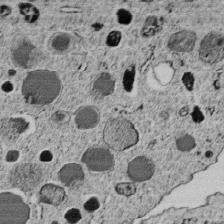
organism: C. elegans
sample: C. elegans embryo early stage